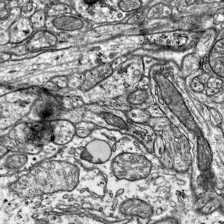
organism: Mouse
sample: Visual Cortex